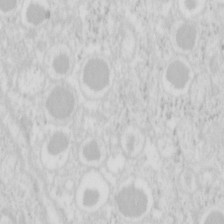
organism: Mouse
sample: Pancreas